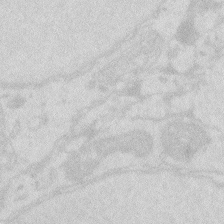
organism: Zebrafish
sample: Macrophage